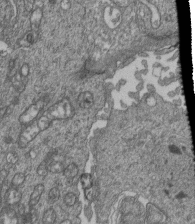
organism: Human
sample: Retinal organoid Rod and Cone cells